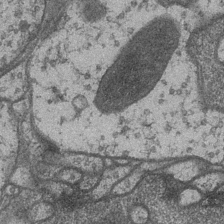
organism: Drosophila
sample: Optic medulla